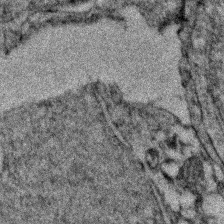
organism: Zebrafish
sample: Zebrafish embryo